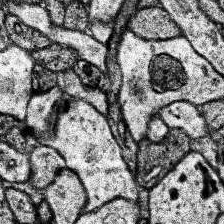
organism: Human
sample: Temporal Lobe